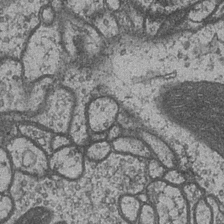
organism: Drosophila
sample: Optic medulla